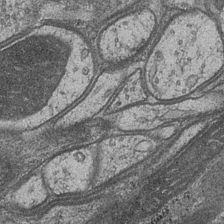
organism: Drosophila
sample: Optic medulla